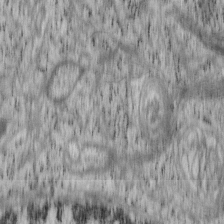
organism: Human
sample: HeLa cells